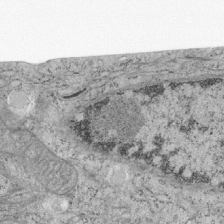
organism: Human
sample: HeLa cells